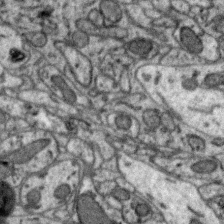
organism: Zebra finch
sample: Brain